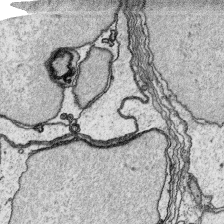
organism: Platynereis dumerilii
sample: Parapodia